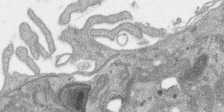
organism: Human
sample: Lung epithelial cells infected with SARS-CoV-2